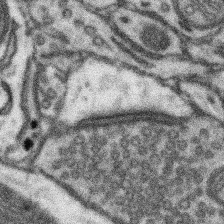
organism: Mouse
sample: Somatosensory cortex neuropil